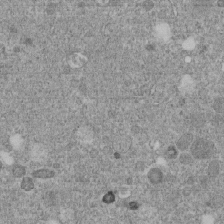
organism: C. elegans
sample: C. elegans embryo early stage